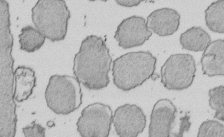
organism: E. coli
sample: Bacterial nucleoid